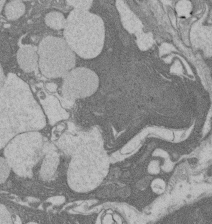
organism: Rat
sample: Salivary granule